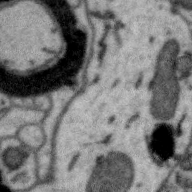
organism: Zebra finch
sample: Brain